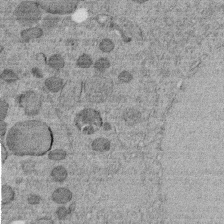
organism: C. elegans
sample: C. elegans embryo early stage